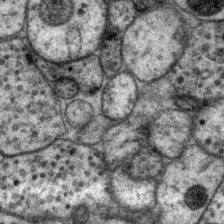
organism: P. pacificus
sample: Pharynx